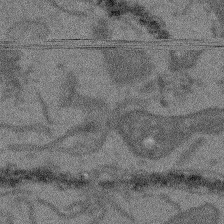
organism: Arabidopsis thaliana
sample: Root tip